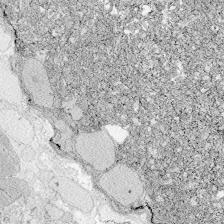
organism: Zebrafish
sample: Whole-Brain